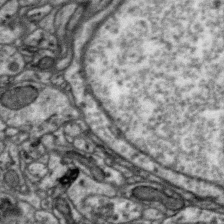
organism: Zebra finch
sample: Brain